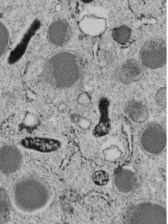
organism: C. elegans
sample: C. elegans embryo early stage